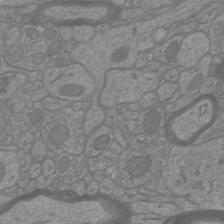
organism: Mouse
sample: Cortical neurons